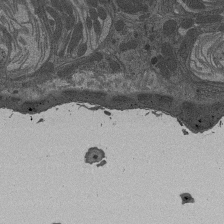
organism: Drosophila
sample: Antenna